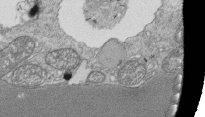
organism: Tetrahymena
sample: Cilia in tetrahymena